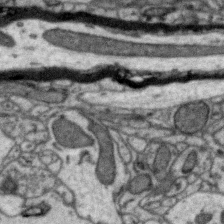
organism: Zebra finch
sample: Brain